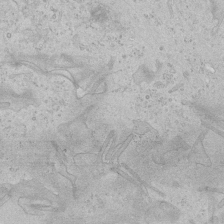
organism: Human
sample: Mitochondria in HCT116 cells